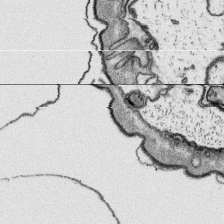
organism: Platynereis dumerilii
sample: Parapodia